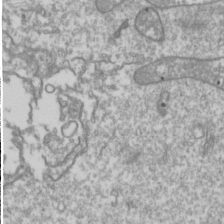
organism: Drosophila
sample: Cell division; meiosis; drosophila spermatocytes